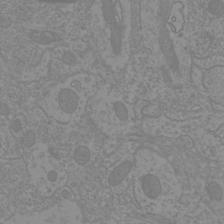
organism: Mouse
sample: Cortical neurons